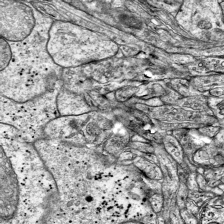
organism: Mouse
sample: Visual Cortex